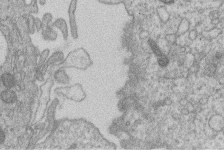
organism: Human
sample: Macrophage cells